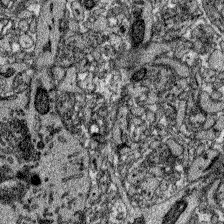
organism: Zebrafish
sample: Larval olfactory bulb